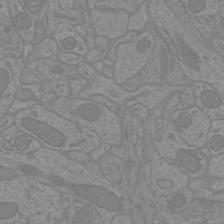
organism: Mouse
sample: Cortical neurons